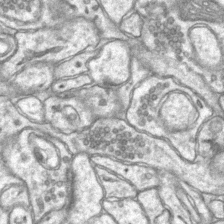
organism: Mouse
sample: CA1 Hippocampus